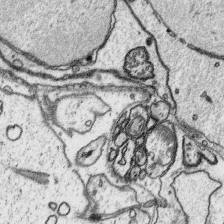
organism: Platynereis dumerilii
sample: Parapodia